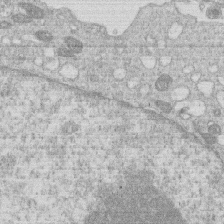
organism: Human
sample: Macrophage cells